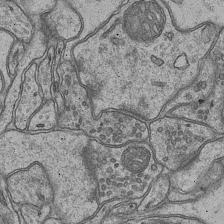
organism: Mouse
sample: CA1 Hippocampus